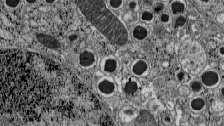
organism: C57BL Mouse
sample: Pancreatic islet